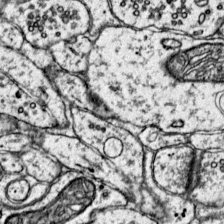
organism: Mouse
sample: Primary visual cortex